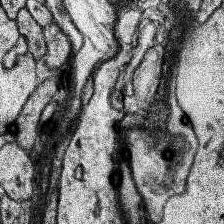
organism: Human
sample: Temporal Lobe